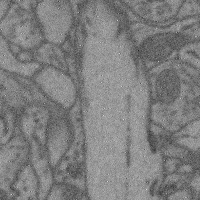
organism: Mouse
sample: Cerebral cortex